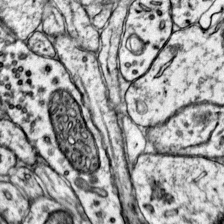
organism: Mouse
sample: Primary visual cortex